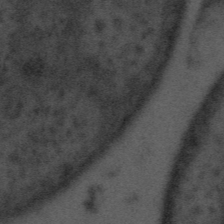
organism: Tuwongella immobilis